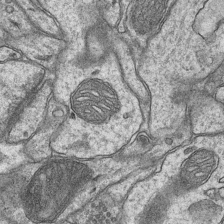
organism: Mouse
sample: CA1 Hippocampus